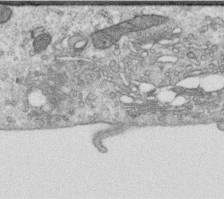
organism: Human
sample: Centriole in RPE cells